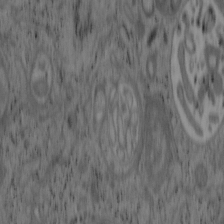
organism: Human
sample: HeLa cells